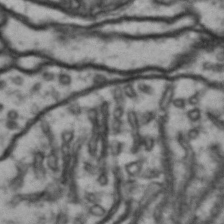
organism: Drosophila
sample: Brain